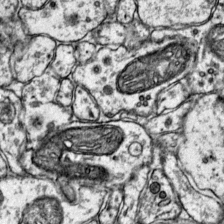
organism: Mouse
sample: Primary visual cortex